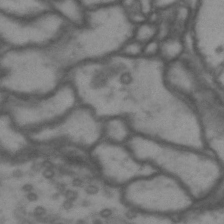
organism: Drosophila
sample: Brain